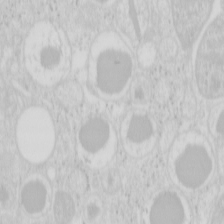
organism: Mouse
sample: Pancreas